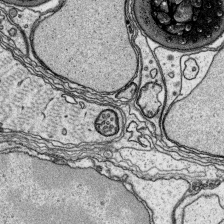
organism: Platynereis dumerilii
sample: Parapodia